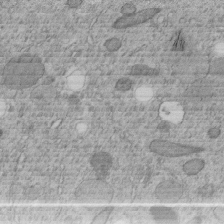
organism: C. elegans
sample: C. elegans embryo early stage